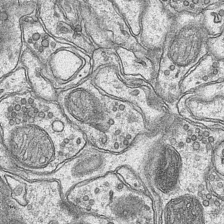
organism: Mouse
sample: CA1 Hippocampus